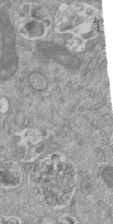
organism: Mouse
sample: ED-1 cell nuclei; centrioles